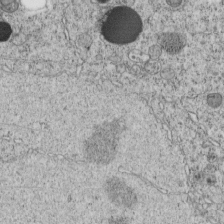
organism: C. elegans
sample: C. elegans embryo early stage